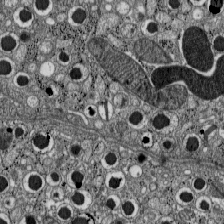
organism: C57BL Mouse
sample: Pancreatic islet